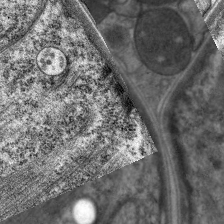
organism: C. elegans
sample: Pharynx